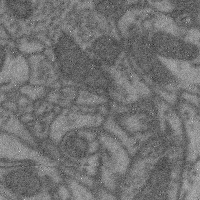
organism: Mouse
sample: Cerebral cortex